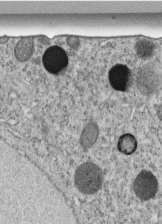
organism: C. elegans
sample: C. elegans embryo early stage